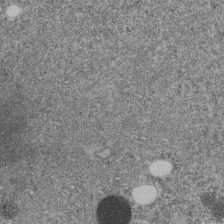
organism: C. elegans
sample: C. elegans embryo early stage